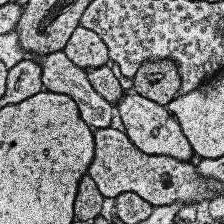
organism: Human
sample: Temporal Lobe